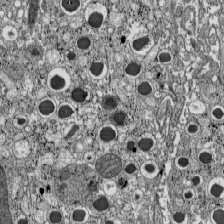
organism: C57BL Mouse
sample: Pancreatic islet